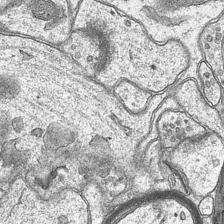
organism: Mouse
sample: CA1 Hippocampus